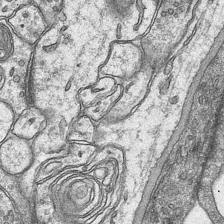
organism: Mouse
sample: CA1 Hippocampus